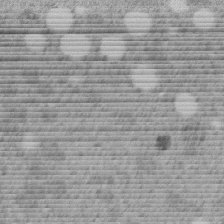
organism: C. elegans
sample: C. elegans embryo early stage